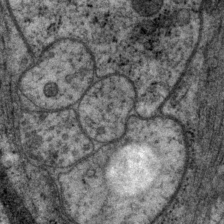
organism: P. pacificus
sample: Pharynx